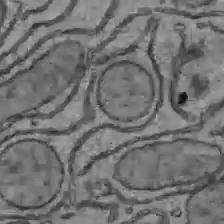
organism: C57BL Mouse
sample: Liver